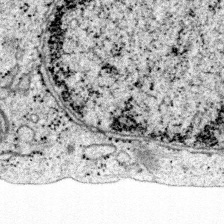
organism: Human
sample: HeLa cells